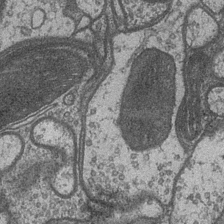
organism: Drosophila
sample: Optic medulla